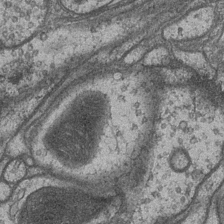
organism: Drosophila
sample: Optic medulla